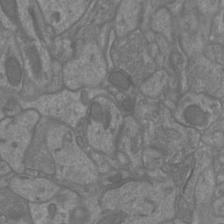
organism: Mouse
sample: Cortical neurons